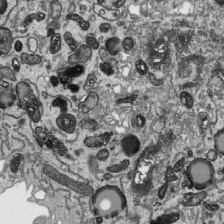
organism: Human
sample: Mitochondria in HCT116 cells